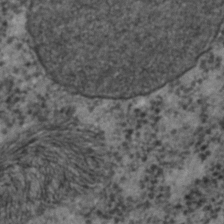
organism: C. elegans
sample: C. elegans embryo